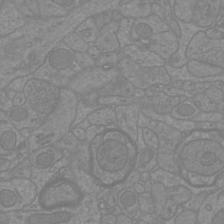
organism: Mouse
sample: Cortical neurons